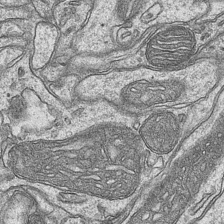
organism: Mouse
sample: CA1 Hippocampus